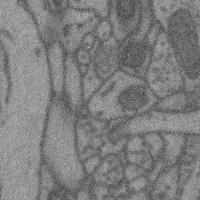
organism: Mouse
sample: Cerebral cortex